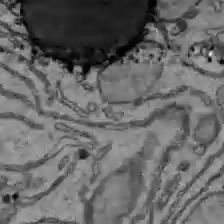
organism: C57BL Mouse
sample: Liver